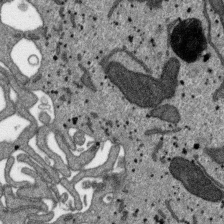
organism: Human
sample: Lung epithelial cells, uninfected (mock) control